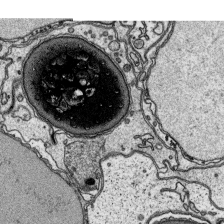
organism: Platynereis dumerilii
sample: Parapodia